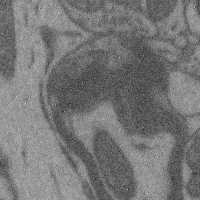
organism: Mouse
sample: Cerebral cortex